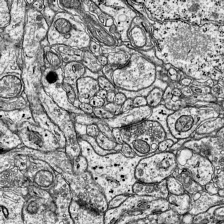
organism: Mouse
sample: Visual Cortex